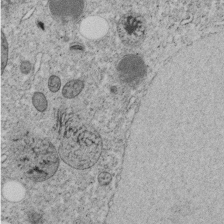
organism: C. elegans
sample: C. elegans embryo early stage